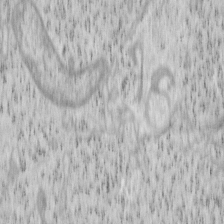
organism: Human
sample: HeLa cells